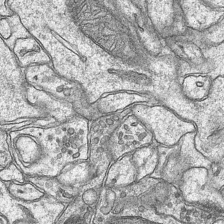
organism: Mouse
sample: CA1 Hippocampus